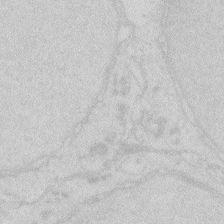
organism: Zebrafish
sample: Macrophage